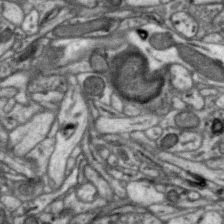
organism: Zebra finch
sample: Brain